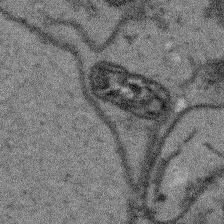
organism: Arabidopsis thaliana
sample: Root tip